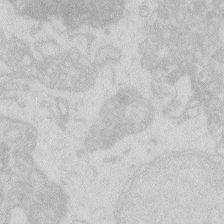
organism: Zebrafish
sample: Macrophage